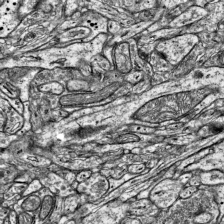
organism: Mouse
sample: Visual Cortex